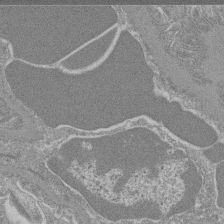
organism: Mouse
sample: Glomerulus